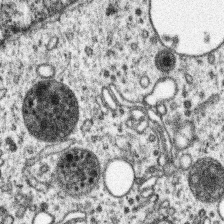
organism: Human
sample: HeLa cells